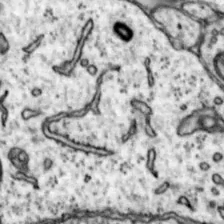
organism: Mouse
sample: Nucleus accumbens